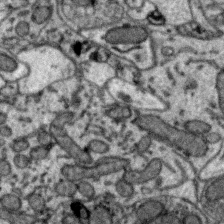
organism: Zebra finch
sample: Brain